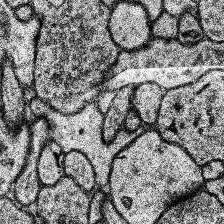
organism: Human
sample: Temporal Lobe